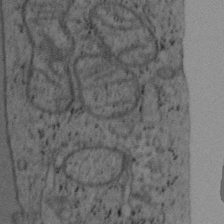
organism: Human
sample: HeLa cells